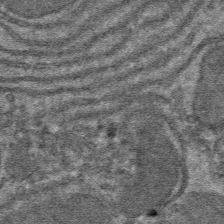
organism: Mouse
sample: Mouse hepatocytes